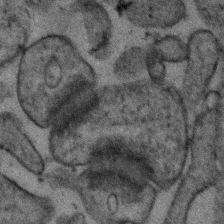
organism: Human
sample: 1205lu cells